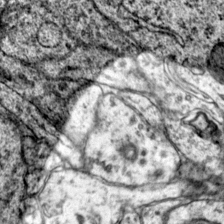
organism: Mouse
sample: Primary visual cortex